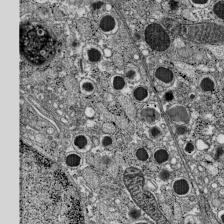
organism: C57BL Mouse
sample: Pancreatic islet